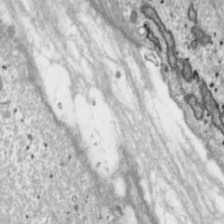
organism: Toxoplasma gondii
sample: Parasites in a vacuole inside a host cell